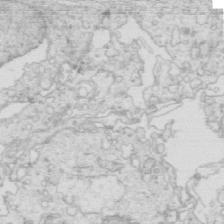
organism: Mouse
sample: Multiciliated cells